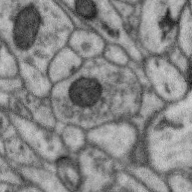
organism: Zebra finch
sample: Brain